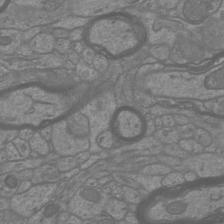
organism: Mouse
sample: Cortical neurons